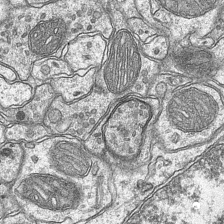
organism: Mouse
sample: CA1 Hippocampus